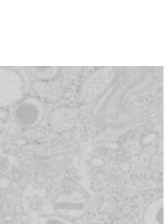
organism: Mouse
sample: Pancreas